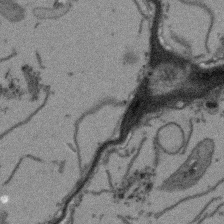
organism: Arabidopsis thaliana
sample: Root tip